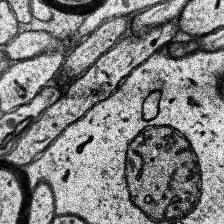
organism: Human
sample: Temporal Lobe